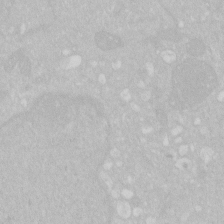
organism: Human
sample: HIV infected U937 cells